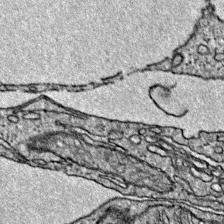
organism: Mouse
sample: Primary visual cortex